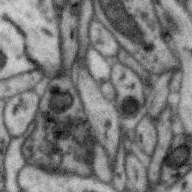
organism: Zebra finch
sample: Brain